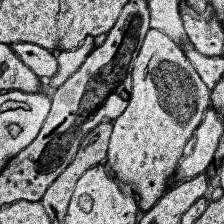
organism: Human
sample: Temporal Lobe